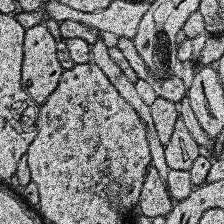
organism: Human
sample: Temporal Lobe